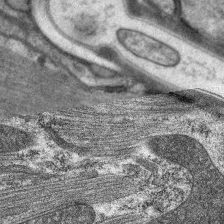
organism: C. elegans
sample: Pharynx